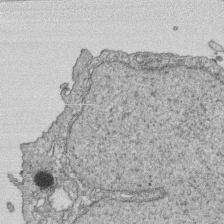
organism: Human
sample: HeLa cell HIV synapse